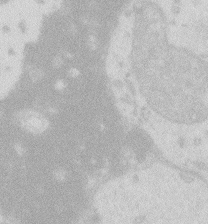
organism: Zebrafish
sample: Macrophage